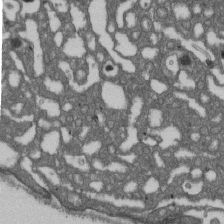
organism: Drosophila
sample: Nephrocyte